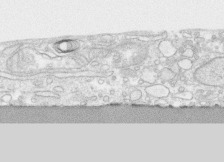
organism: Human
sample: CRL-1474